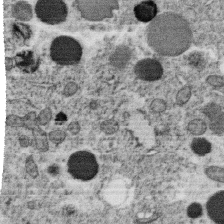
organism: C. elegans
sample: C. elegans oocyte; sperm cells